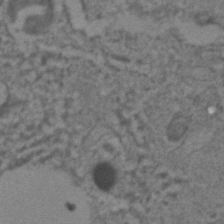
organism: C. elegans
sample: C. elegans embryo